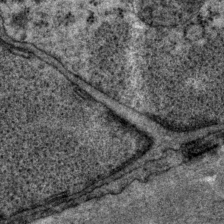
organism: P. pacificus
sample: Pharynx